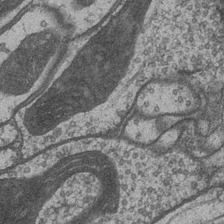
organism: Drosophila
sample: Optic medulla